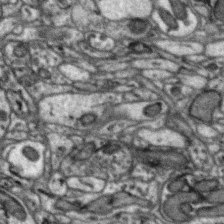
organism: Zebra finch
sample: Brain